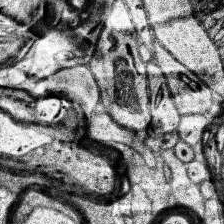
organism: Human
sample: Temporal Lobe